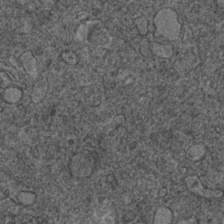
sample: Trachea